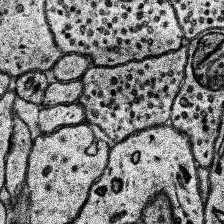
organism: Human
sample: Temporal Lobe